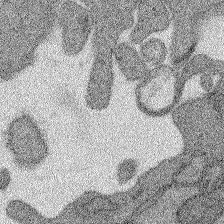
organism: Human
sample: HeLa cells